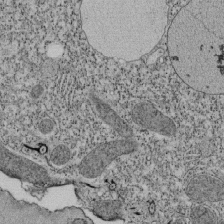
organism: Tetrahymena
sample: Cilia in tetrahymena